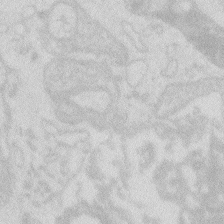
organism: Zebrafish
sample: Macrophage